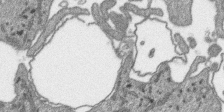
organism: Human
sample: Lung epithelial cells infected with SARS-CoV-2